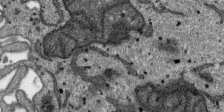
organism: Human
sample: Lung epithelial cells, uninfected (mock) control